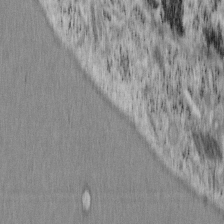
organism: Human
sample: HeLa cells